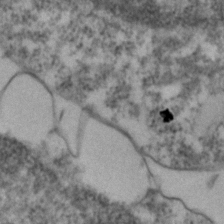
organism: Zebrafish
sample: Zebrafish embryo